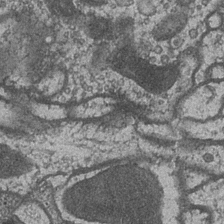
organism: Drosophila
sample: Optic medulla